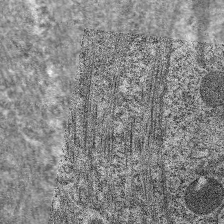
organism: C. elegans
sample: Pharynx